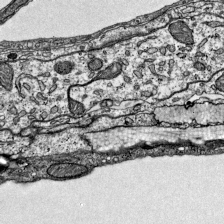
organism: Mouse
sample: Visual Cortex